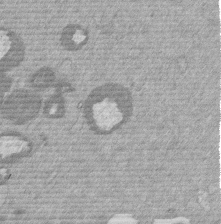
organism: Mouse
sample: Dividing mouse embryo 1 cell stage